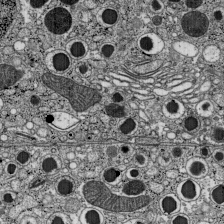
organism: C57BL Mouse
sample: Pancreatic islet